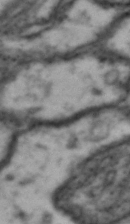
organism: Drosophila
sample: Brain